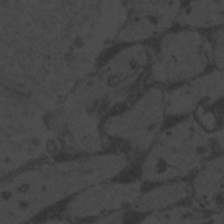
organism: Zebrafish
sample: Macrophage infected with Toxoplasma gondii